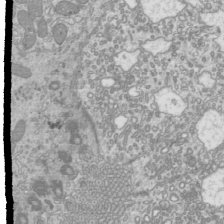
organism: Mouse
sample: Cilia; mouse epididymis